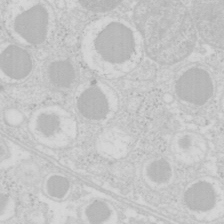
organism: Mouse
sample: Pancreas